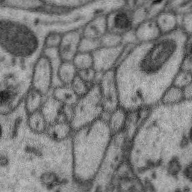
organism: Zebra finch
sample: Brain